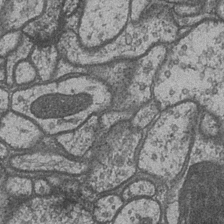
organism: Drosophila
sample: Optic medulla